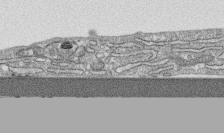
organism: Human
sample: CRL-1474